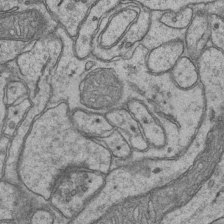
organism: Mouse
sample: CA1 Hippocampus